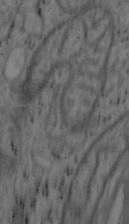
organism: Human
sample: HeLa cells